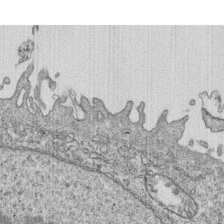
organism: Human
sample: HeLa cell HIV synapse